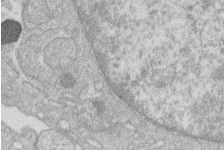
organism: Human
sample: Macrophage cells